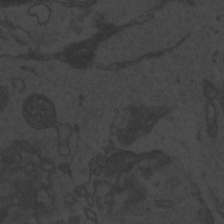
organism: Zebrafish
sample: Macrophage infected with Toxoplasma gondii